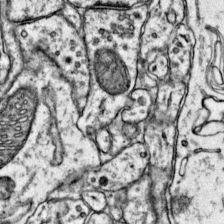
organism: Mouse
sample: Primary visual cortex